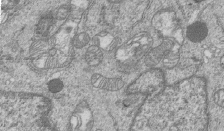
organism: Human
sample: MDA-MB-231 cells